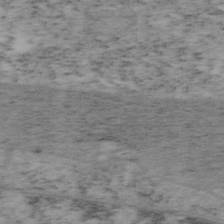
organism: Mouse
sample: OT-I killer T cells with ID8 ovarian cancer cells